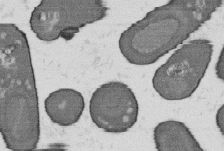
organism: B. subtilis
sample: Bacterial spore